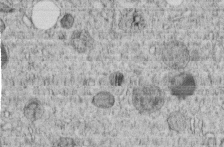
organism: C. elegans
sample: C. elegans embryo early stage